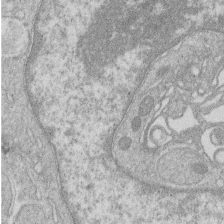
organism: Human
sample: Macrophage cells